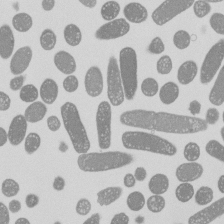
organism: E. coli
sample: Bacterial nucleoid